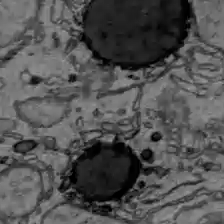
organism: C57BL Mouse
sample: Liver